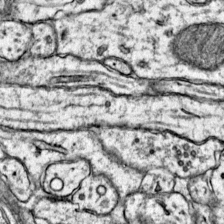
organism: Mouse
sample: Primary visual cortex